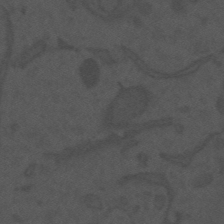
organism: Mouse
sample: Suprachiasmatic nucleus